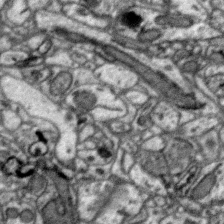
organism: Zebra finch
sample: Brain